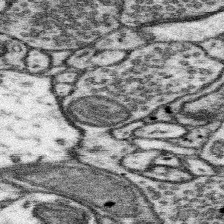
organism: Mouse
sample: Somatosensory cortex neuropil